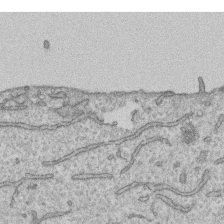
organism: Human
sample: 1205lu cells